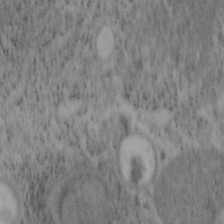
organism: Mouse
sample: OT-I killer T cells with ID8 ovarian cancer cells